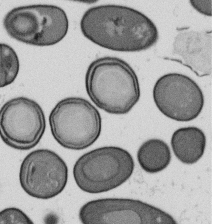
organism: B. subtilis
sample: Bacterial spore